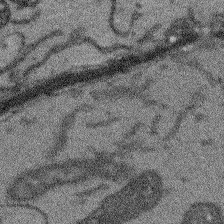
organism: Arabidopsis thaliana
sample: Root tip